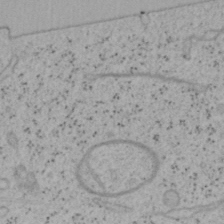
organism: Human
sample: HeLa cells